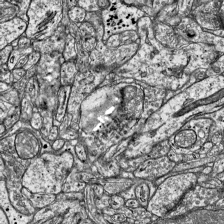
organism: Mouse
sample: Visual Cortex